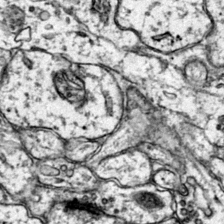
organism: Mouse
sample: Primary visual cortex